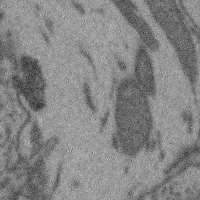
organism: Mouse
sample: Cerebral cortex